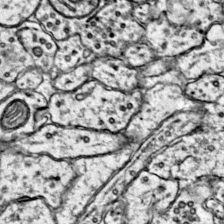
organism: Mouse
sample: Primary visual cortex